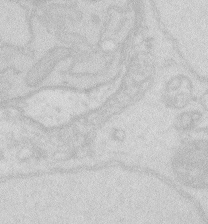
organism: Zebrafish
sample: Macrophage